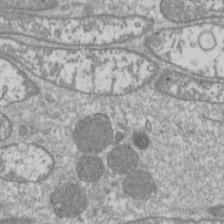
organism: Drosophila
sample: Cell division; meiosis; drosophila spermatocytes